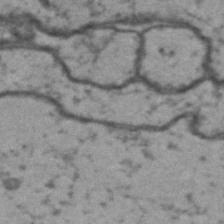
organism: Drosophila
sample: Brain